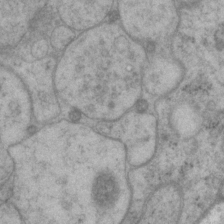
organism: P. pacificus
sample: Pharynx